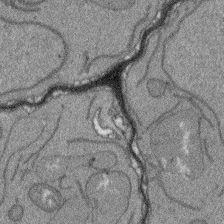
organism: Arabidopsis thaliana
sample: Root tip